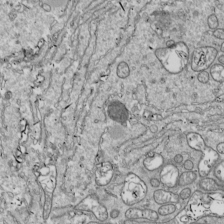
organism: Drosophila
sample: Cell division; meiosis; drosophila spermatocytes